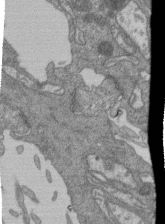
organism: Human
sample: Retinal organoid Rod and Cone cells